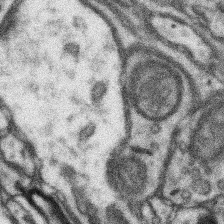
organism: Mouse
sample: Somatosensory cortex neuropil